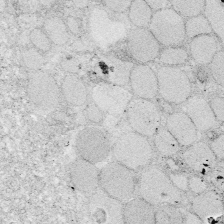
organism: Zebrafish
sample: Whole-Brain